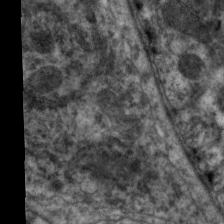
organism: C. elegans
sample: Pharynx